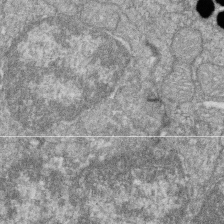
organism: Zebrafish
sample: Cilia; retinal pigment epithelium